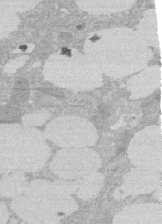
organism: Rat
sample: Salivary granule